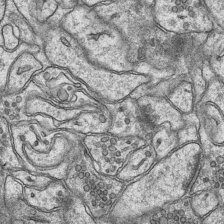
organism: Mouse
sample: CA1 Hippocampus